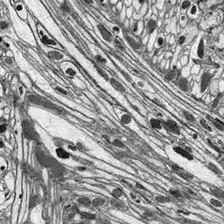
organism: Drosophila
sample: Optic lobe